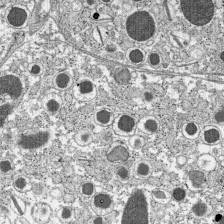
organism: C57BL Mouse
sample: Pancreatic islet